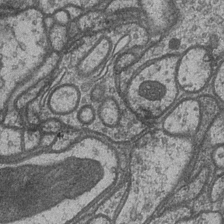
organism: Drosophila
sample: Optic medulla